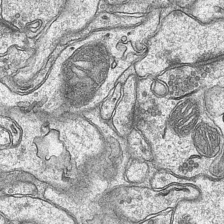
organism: Mouse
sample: CA1 Hippocampus